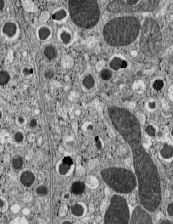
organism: C57BL Mouse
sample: Pancreatic islet